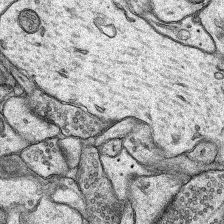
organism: Rat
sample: Hippocampus